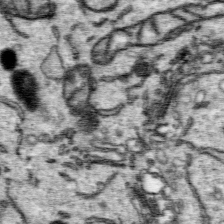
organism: Human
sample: HeLa cells